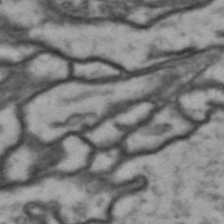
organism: Drosophila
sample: Brain